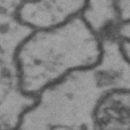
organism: Drosophila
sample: Brain